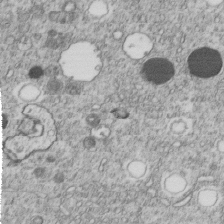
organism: C. elegans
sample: C. elegans embryo early stage